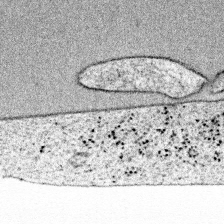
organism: Human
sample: HeLa cells